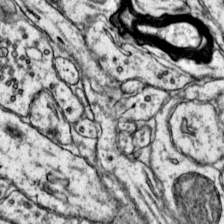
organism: Mouse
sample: Primary visual cortex